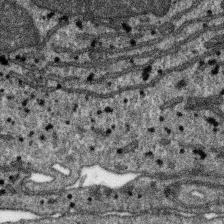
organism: Human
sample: Lung epithelial cells infected with SARS-CoV-2